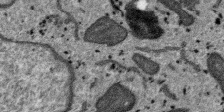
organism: Human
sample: Lung epithelial cells, uninfected (mock) control